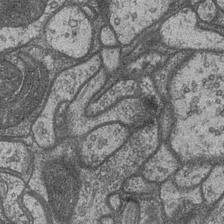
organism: Drosophila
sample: Optic medulla